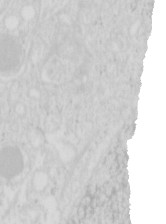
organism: Mouse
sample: Pancreas